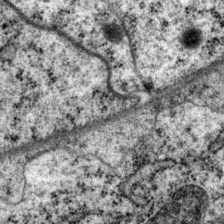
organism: P. pacificus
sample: Pharynx